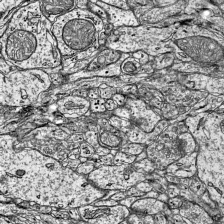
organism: Mouse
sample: Visual Cortex